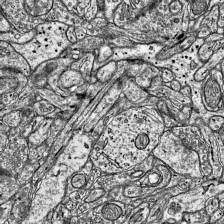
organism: Mouse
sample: Visual Cortex